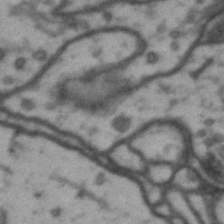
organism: Drosophila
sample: Brain